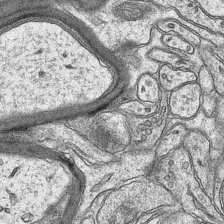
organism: Mouse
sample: CA1 Hippocampus